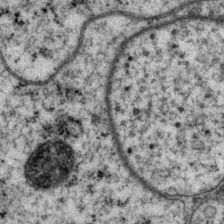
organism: P. pacificus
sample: Pharynx